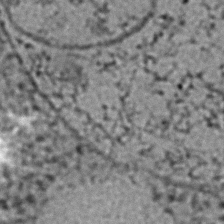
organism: C. elegans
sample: C. elegans embryo